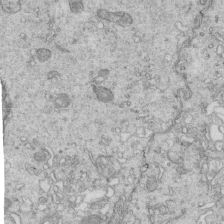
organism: Mouse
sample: Multiciliated cells